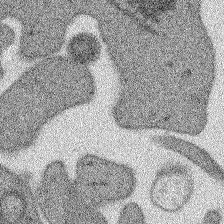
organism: Human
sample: HeLa cells